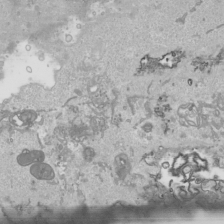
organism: Human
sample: Mitochondria in HCT116 cells